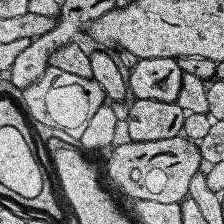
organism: Human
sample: Temporal Lobe